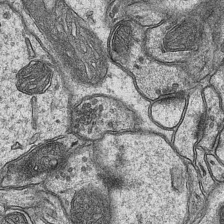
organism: Mouse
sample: CA1 Hippocampus